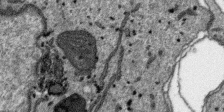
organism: Human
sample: Lung epithelial cells, uninfected (mock) control